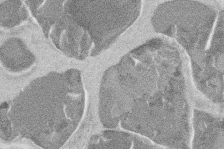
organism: Mouse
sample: T cell stromal cell synapse